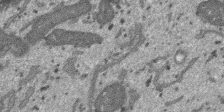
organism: Human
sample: Lung epithelial cells infected with SARS-CoV-2